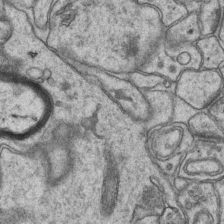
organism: Mouse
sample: CA1 Hippocampus